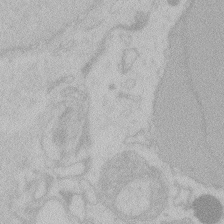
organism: Zebrafish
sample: Macrophage infected with Toxoplasma gondii